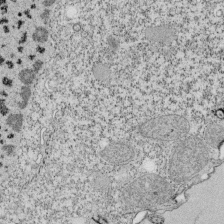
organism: Tetrahymena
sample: Cilia in tetrahymena